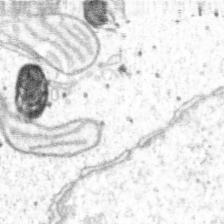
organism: Human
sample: HeLa cells